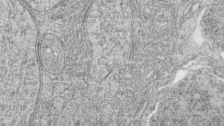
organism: Zebrafish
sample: synaptic ribbons in rod cells and cone cells